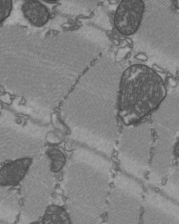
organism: C57BL Mouse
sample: Heart